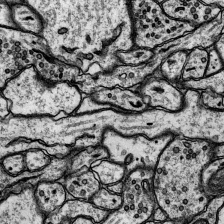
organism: Rat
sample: Hippocampus